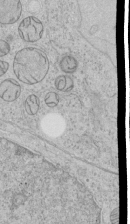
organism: Human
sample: Mitochondria in HCT116 cells